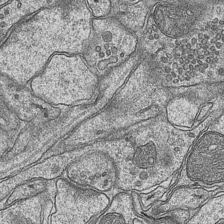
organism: Mouse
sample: CA1 Hippocampus